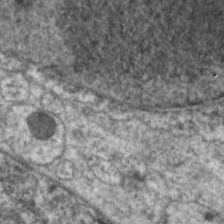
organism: C. elegans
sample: Pharynx